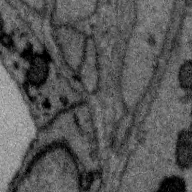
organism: Zebra finch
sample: Brain